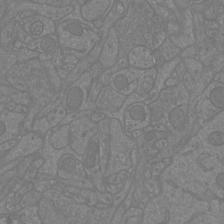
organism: Mouse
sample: Cortical neurons